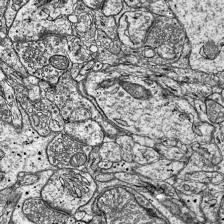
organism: Mouse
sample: Visual Cortex